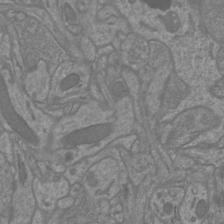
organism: Mouse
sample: Cortical neurons